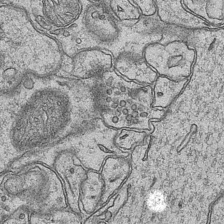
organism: Mouse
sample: CA1 Hippocampus